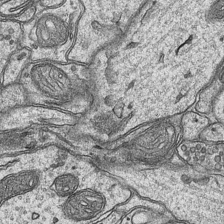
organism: Mouse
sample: CA1 Hippocampus